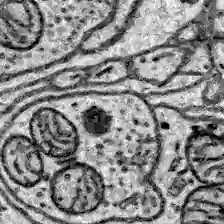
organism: Zebrafish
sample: Brain